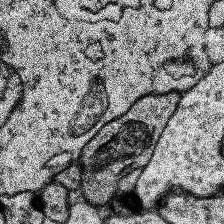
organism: Human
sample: Temporal Lobe